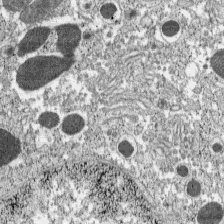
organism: C57BL Mouse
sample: Pancreatic islet